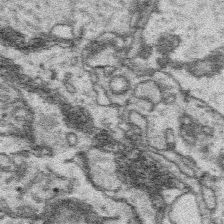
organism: Platynereis dumerilii